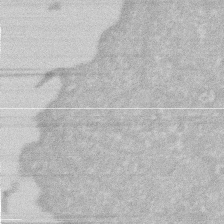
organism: Human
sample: HIV infected U937 cells